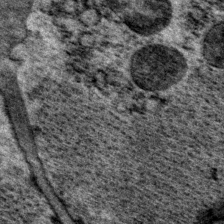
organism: P. pacificus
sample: Pharynx